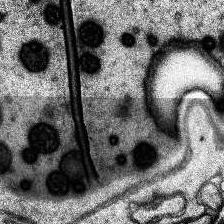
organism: Human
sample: Temporal Lobe